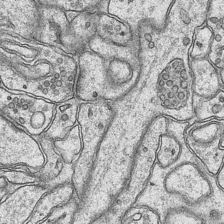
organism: Mouse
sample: CA1 Hippocampus